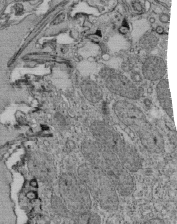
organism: Tetrahymena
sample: Cilia in tetrahymena